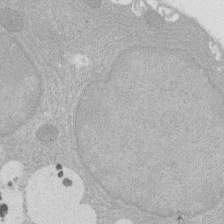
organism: Rat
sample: Salivary granule